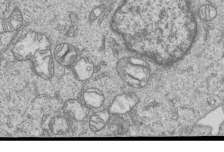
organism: Human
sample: MDA-MB-231 cells